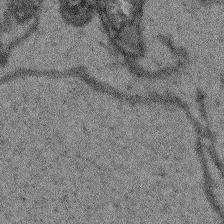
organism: Arabidopsis thaliana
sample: Root tip